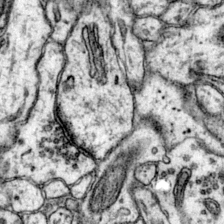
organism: Mouse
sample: Primary visual cortex